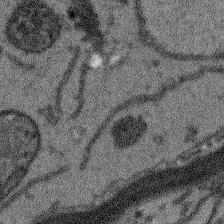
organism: Arabidopsis thaliana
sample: Root tip